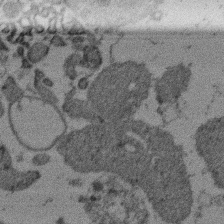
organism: Mouse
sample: Dividing mouse embryo 1 cell stage